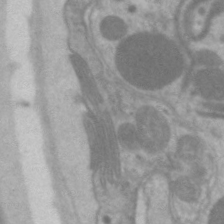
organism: C. elegans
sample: Pharynx